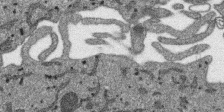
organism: Human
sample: Lung epithelial cells infected with SARS-CoV-2